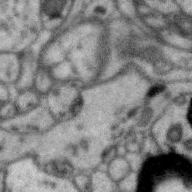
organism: Zebra finch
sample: Brain